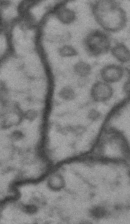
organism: Drosophila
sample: Brain